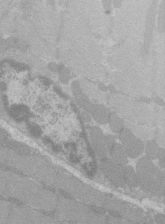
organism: C57BL Mouse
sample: Tibialis anterior muscle cell